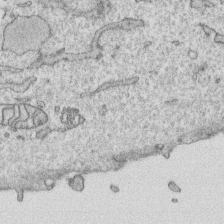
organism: Human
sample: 1205lu cells